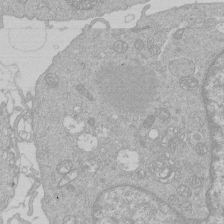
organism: Human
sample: Macrophage cells